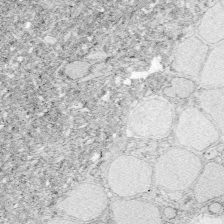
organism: Zebrafish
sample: Whole-Brain